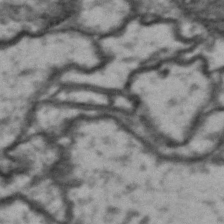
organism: Drosophila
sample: Brain